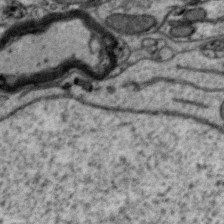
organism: Zebra finch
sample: Brain